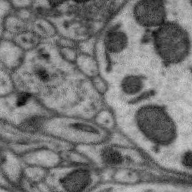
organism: Zebra finch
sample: Brain